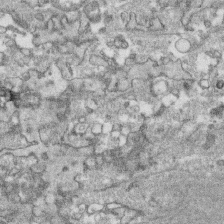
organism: Human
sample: CRL-1474